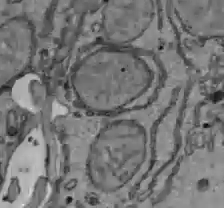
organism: C57BL Mouse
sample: Liver